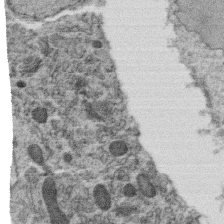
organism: C. elegans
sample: C. elegans oocyte; sperm cells